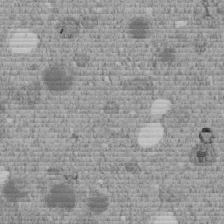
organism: C. elegans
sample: C. elegans embryo early stage